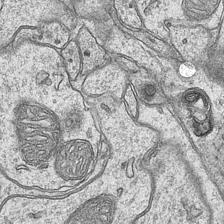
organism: Mouse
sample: CA1 Hippocampus